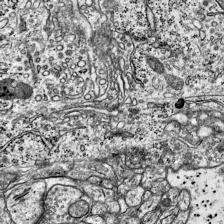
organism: Mouse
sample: Visual Cortex